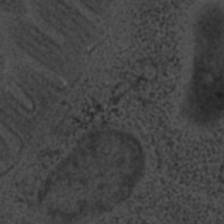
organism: C. elegans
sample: C. elegans embryo